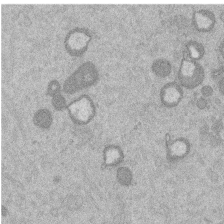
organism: Mouse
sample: Dividing mouse embryo 1 cell stage